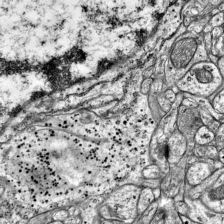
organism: Mouse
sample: Visual Cortex